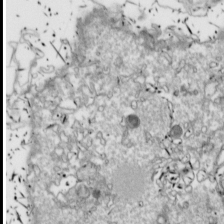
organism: Drosophila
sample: Cell division; meiosis; drosophila spermatocytes